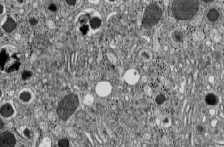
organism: C57BL Mouse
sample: Pancreatic islet